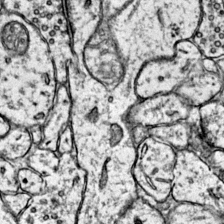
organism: Mouse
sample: Primary visual cortex